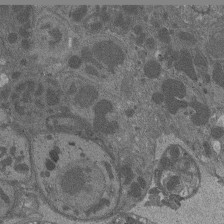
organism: Drosophila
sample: Antenna